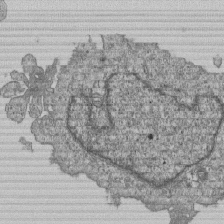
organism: Human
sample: MDA-MB-231 cells